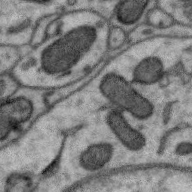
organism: Zebra finch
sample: Brain